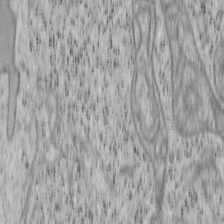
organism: Human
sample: HeLa cells